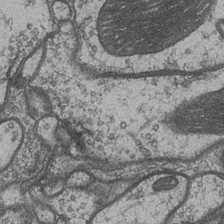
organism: Drosophila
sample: Optic medulla